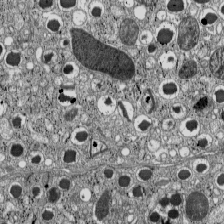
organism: C57BL Mouse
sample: Pancreatic islet